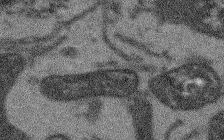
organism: Arabidopsis thaliana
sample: Root tip